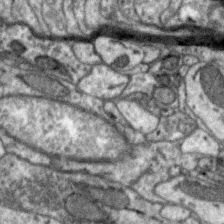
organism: Zebra finch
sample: Brain